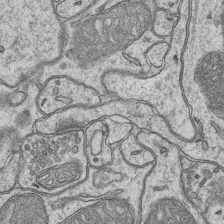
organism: Mouse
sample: CA1 Hippocampus